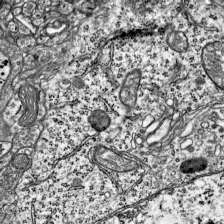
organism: Mouse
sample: Visual Cortex